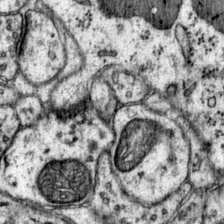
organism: Mouse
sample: Primary visual cortex